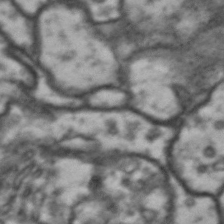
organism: Drosophila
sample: Brain